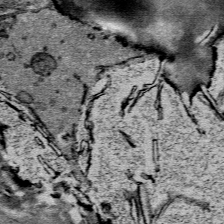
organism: Mouse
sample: Mouse Salivary gland